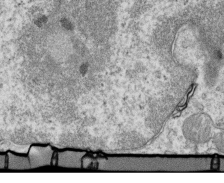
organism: Mouse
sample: Activated OT-1 CD8+ T cells